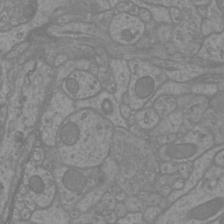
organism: Mouse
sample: Cortical neurons